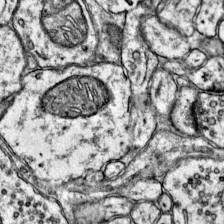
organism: Mouse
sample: Primary visual cortex